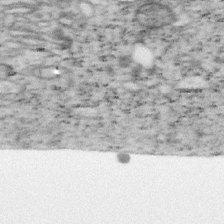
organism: Mouse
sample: OT-I killer T cells with ID8 ovarian cancer cells